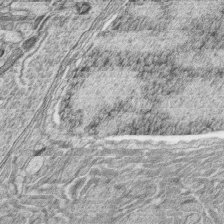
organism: Zebrafish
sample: synaptic ribbons in rod cells and cone cells